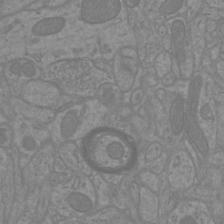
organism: Mouse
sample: Cortical neurons